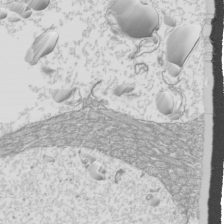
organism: Mouse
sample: Cilia; mouse epididymis